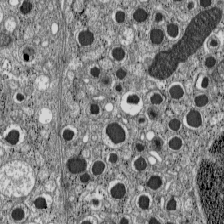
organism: C57BL Mouse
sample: Pancreatic islet